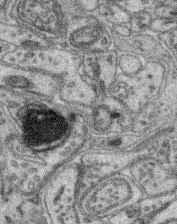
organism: Mouse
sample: Retina